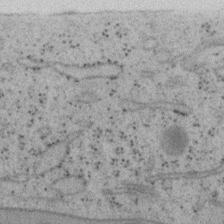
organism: Human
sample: HeLa cells